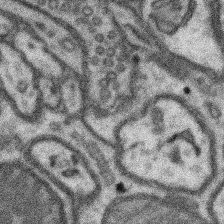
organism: Mouse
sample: Somatosensory cortex neuropil